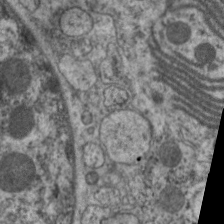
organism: C. elegans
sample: Pharynx